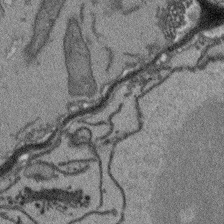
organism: Arabidopsis thaliana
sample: Root tip